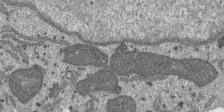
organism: Human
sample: Lung epithelial cells infected with SARS-CoV-2